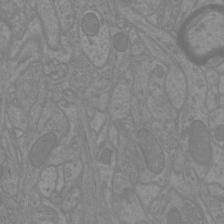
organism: Mouse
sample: Cortical neurons